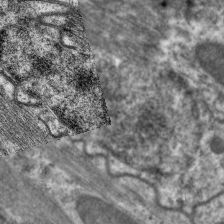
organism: C. elegans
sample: Pharynx